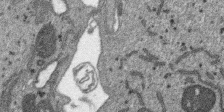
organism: Human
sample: Lung epithelial cells infected with SARS-CoV-2